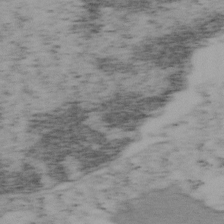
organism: Mouse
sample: OT-I killer T cells with ID8 ovarian cancer cells